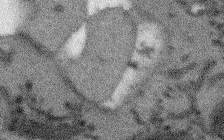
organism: Arabidopsis thaliana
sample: Root tip